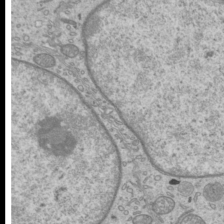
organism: Mouse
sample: Cilia; mouse epididymis